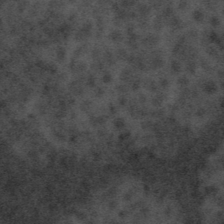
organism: Tuwongella immobilis